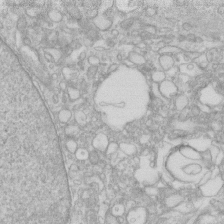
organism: Human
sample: Fibroblast cells